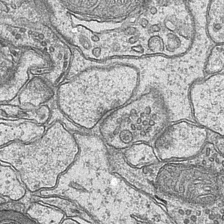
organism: Mouse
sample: CA1 Hippocampus